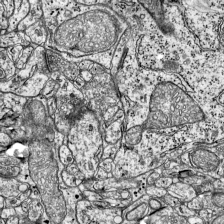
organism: Mouse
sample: Visual Cortex